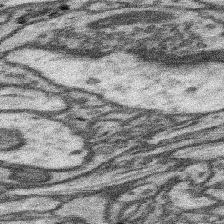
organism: Mouse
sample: Somatosensory cortex neuropil